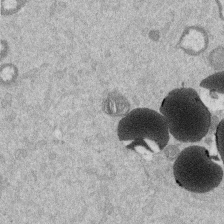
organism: Mouse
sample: Dividing mouse embryo 1 cell stage